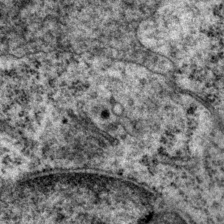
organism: P. pacificus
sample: Pharynx